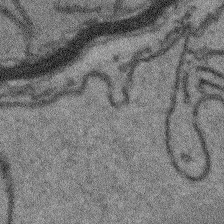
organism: Arabidopsis thaliana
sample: Root tip